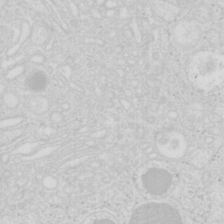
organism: Mouse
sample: Pancreas